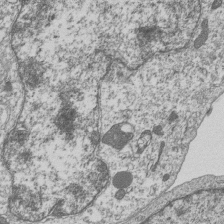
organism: Human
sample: MDA-MB-231 cells